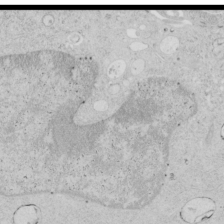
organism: Human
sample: Mitochondria in HCT116 cells